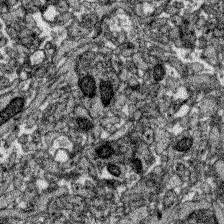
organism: Zebrafish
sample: Larval olfactory bulb